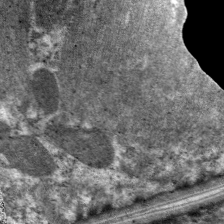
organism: C. elegans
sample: Pharynx